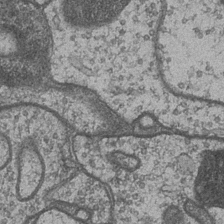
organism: Drosophila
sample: Optic medulla